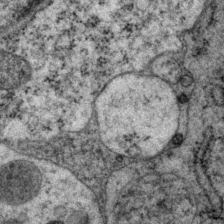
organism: P. pacificus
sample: Pharynx